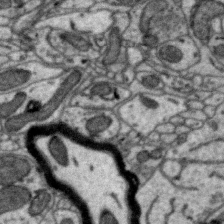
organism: Zebra finch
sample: Brain